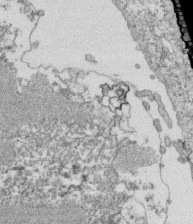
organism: Human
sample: HeLa cell HIV synapse